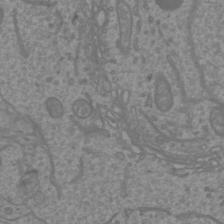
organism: Mouse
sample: Cortical neurons